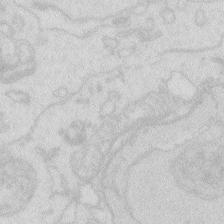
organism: Zebrafish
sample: Macrophage